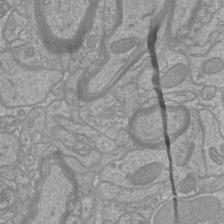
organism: Mouse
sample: Cortical neurons